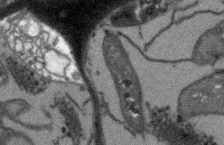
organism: Arabidopsis thaliana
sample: Root tip